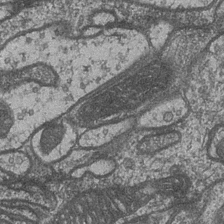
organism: Drosophila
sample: Optic medulla